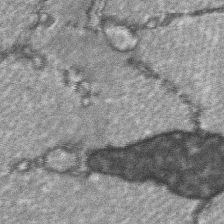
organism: C57BL Mouse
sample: Soleus